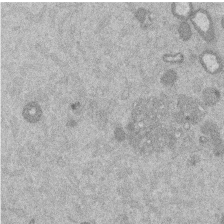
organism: Mouse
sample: Dividing mouse embryo 1 cell stage